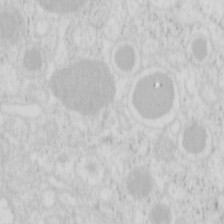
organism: Mouse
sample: Pancreas